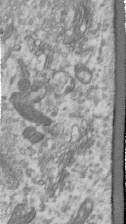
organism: Human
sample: Centriole in RPE cells